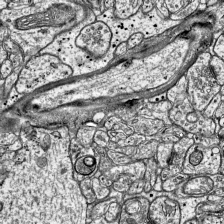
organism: Mouse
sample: Visual Cortex